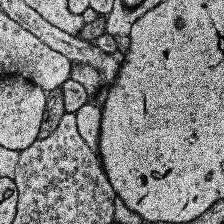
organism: Human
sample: Temporal Lobe